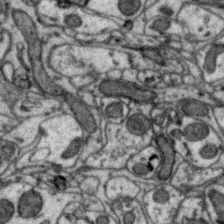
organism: Zebra finch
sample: Brain